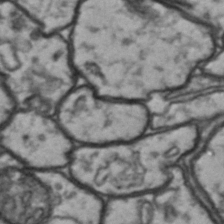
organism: Drosophila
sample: Brain